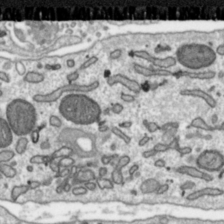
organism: Toxoplasma gondii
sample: Parasites in a vacuole inside a host cell